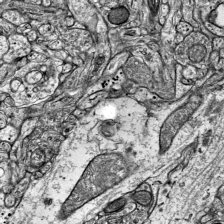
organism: Mouse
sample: Visual Cortex